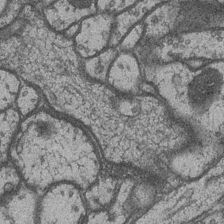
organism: Drosophila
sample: Optic medulla